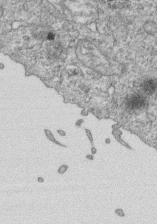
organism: Human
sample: HeLa cell HIV synapse